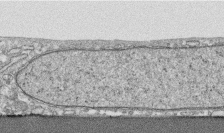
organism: Human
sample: CRL-1474